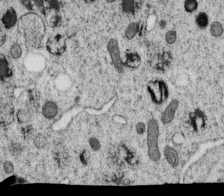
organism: C. elegans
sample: C. elegans oocyte; sperm cells